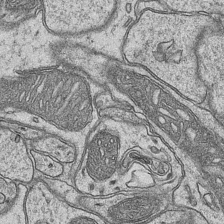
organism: Mouse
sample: CA1 Hippocampus